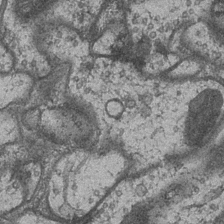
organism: Drosophila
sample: Optic medulla